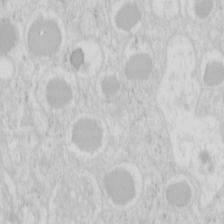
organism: Mouse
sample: Pancreas